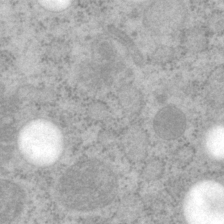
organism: P. pacificus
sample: Pharynx